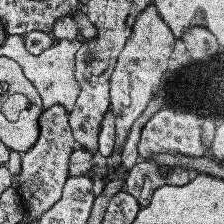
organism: Human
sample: Temporal Lobe